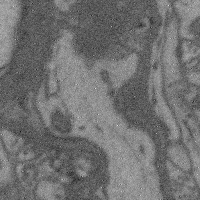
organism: Mouse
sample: Cerebral cortex